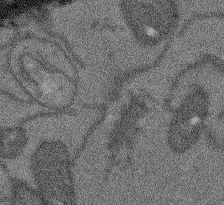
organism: Arabidopsis thaliana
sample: Root tip